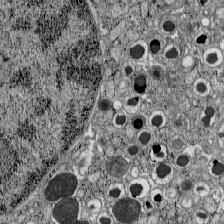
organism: C57BL Mouse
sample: Pancreatic islet